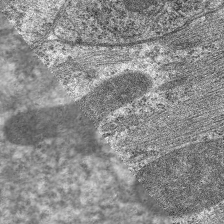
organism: C. elegans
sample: Pharynx